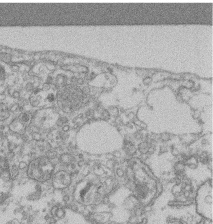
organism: Mouse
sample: T cell stromal cell synapse